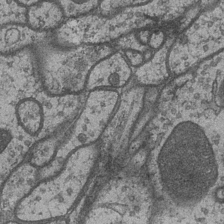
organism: Drosophila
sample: Optic medulla